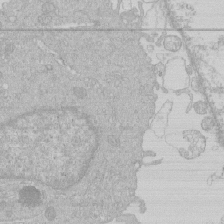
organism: Human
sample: Macrophage cells